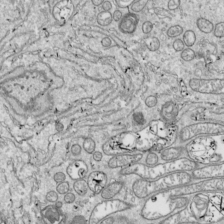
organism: Drosophila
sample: Cell division; meiosis; drosophila spermatocytes